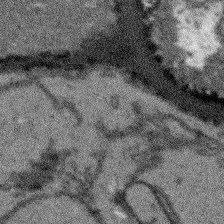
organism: Arabidopsis thaliana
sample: Root tip